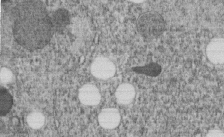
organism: C. elegans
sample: C. elegans embryo early stage